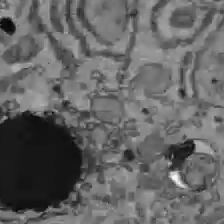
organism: C57BL Mouse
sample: Liver